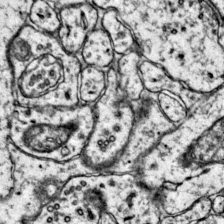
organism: Mouse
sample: Primary visual cortex